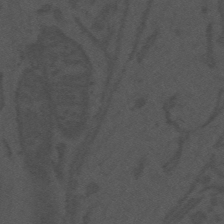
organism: Mouse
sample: Suprachiasmatic nucleus